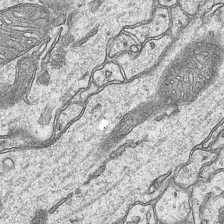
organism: Mouse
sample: CA1 Hippocampus